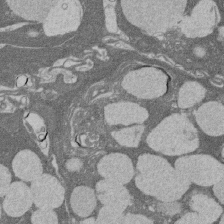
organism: Rat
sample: Salivary granule